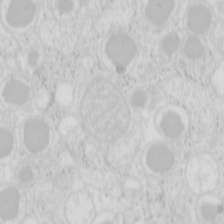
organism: Mouse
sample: Pancreas